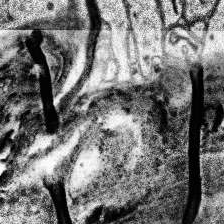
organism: Human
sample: Temporal Lobe